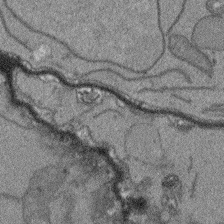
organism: Arabidopsis thaliana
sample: Root tip